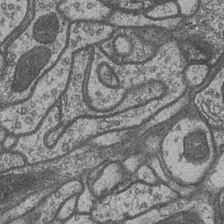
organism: Drosophila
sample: Optic medulla